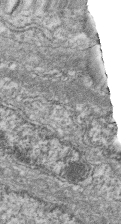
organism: Zebrafish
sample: Cilia; retinal pigment epithelium